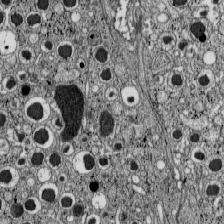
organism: C57BL Mouse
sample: Pancreatic islet